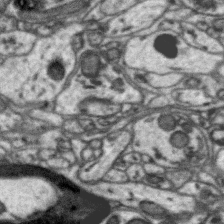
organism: Zebra finch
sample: Brain